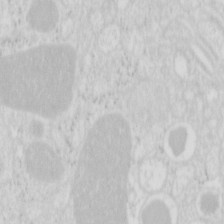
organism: Mouse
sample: Pancreas